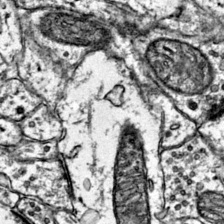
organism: Mouse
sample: Primary visual cortex